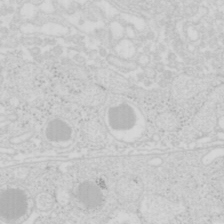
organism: Mouse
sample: Pancreas